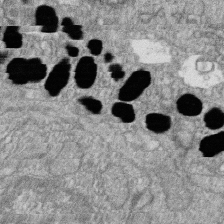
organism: Zebrafish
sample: Cilia; retinal pigment epithelium